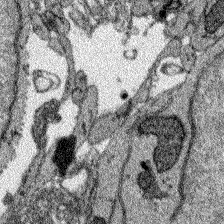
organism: Zebrafish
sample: Larval olfactory bulb